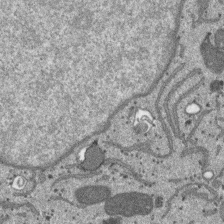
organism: Human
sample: Lung epithelial cells infected with SARS-CoV-2